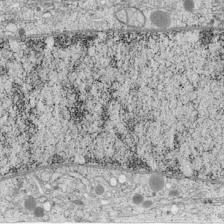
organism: African green monkey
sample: COS-7 cells